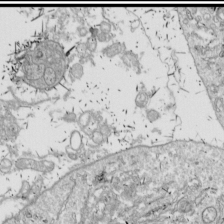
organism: Drosophila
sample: Cell division; meiosis; drosophila spermatocytes